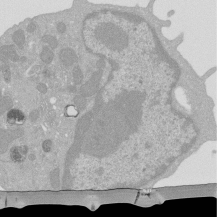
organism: Mouse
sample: Activated Pmel transgenic CD8+ T Cells